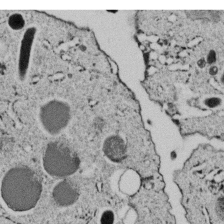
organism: C. elegans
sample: C. elegans embryo early stage